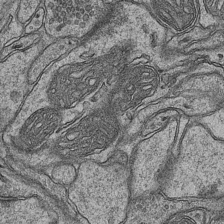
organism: Mouse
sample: CA1 Hippocampus